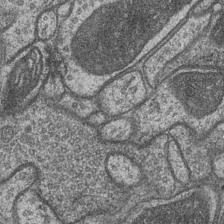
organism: Drosophila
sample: Optic medulla